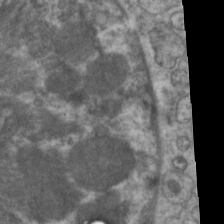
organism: C. elegans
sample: Pharynx